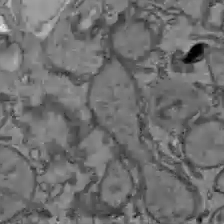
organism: C57BL Mouse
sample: Liver